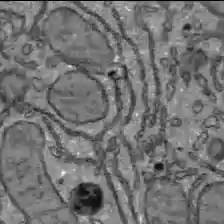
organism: C57BL Mouse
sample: Liver